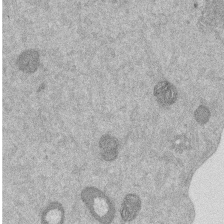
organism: Mouse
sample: Dividing mouse embryo 1 cell stage